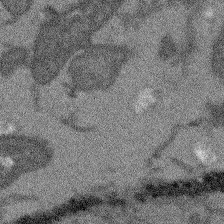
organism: Arabidopsis thaliana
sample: Root tip